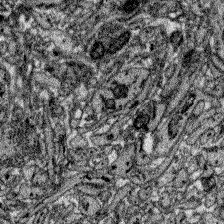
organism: Zebrafish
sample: Larval olfactory bulb